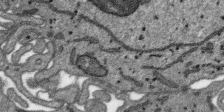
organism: Human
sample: Lung epithelial cells, uninfected (mock) control